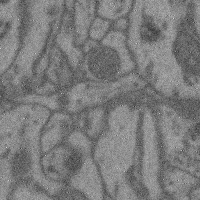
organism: Mouse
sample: Cerebral cortex